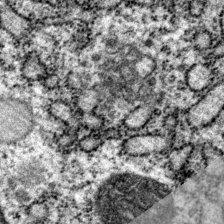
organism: P. pacificus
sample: Pharynx